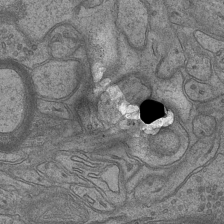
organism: Mouse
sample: CA1 Hippocampus